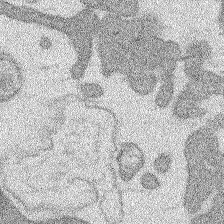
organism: Human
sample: HeLa cells